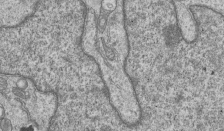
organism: Human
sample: MDA-MB-231 cells